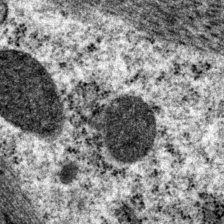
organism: P. pacificus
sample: Pharynx